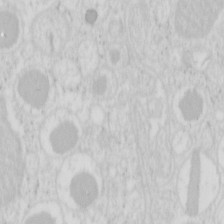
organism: Mouse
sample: Pancreas